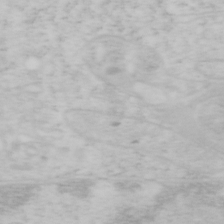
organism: Mouse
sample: OT-I killer T cells with ID8 ovarian cancer cells